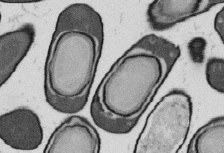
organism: B. subtilis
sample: Bacterial spore